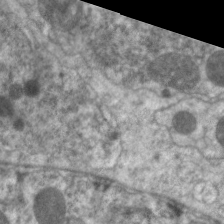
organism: C. elegans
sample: Pharynx